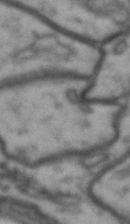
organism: Drosophila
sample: Brain